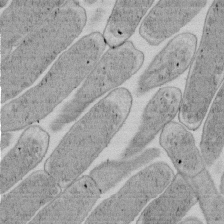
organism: E. coli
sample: Bacterial nucleoid